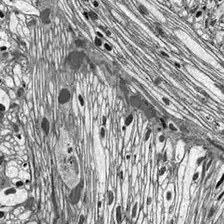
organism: Drosophila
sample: Optic lobe